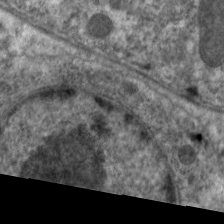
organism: C. elegans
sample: Pharynx